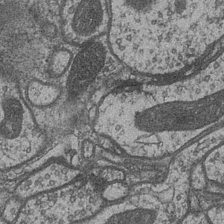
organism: Drosophila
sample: Optic medulla